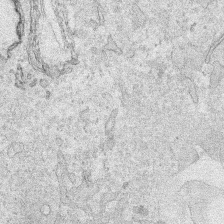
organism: Human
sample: Mitochondria in HCT116 cells